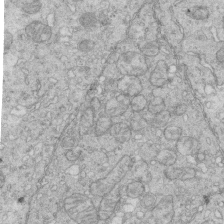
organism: Mouse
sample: Multiciliated cells